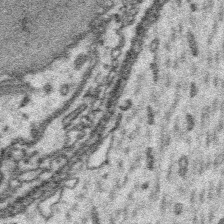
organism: Platynereis dumerilii